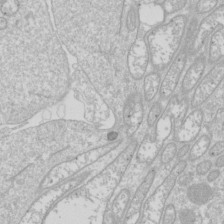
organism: Drosophila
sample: Cell division; meiosis; drosophila spermatocytes